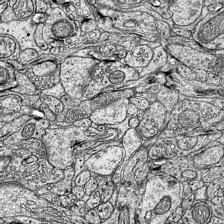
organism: Mouse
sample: Visual Cortex